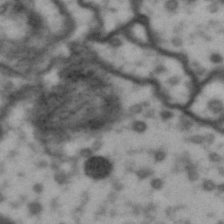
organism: Drosophila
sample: Brain